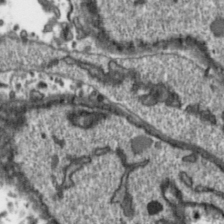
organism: Toxoplasma gondii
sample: Parasites in a vacuole inside a host cell